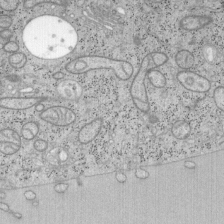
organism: Mouse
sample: OT-I killer T cells with ID8 ovarian cancer cells